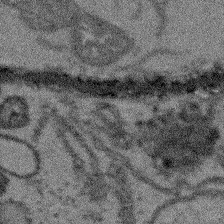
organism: Arabidopsis thaliana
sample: Root tip